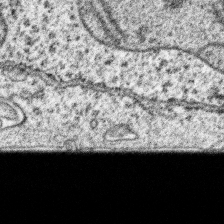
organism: Human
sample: HeLa cells